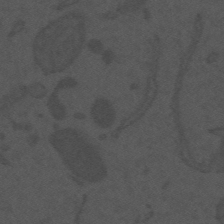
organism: Mouse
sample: Suprachiasmatic nucleus